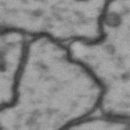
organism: Drosophila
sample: Brain